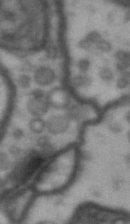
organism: Drosophila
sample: Brain